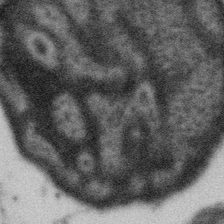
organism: Gemmata obscuriglobus